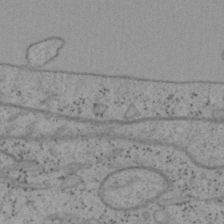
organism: Human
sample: HeLa cells